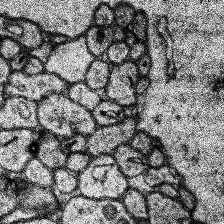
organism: Human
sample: Temporal Lobe